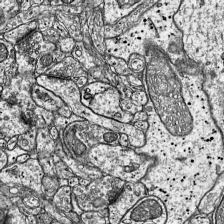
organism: Mouse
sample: Visual Cortex